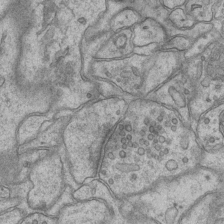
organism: Mouse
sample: CA1 Hippocampus